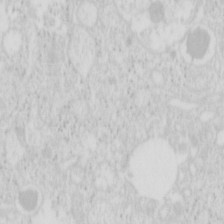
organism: Mouse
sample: Pancreas